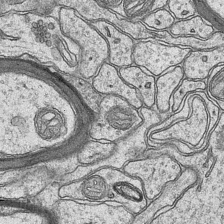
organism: Mouse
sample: CA1 Hippocampus